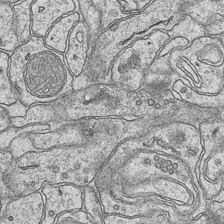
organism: Mouse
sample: CA1 Hippocampus